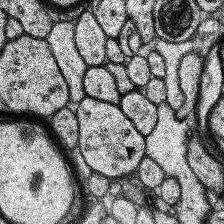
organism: Human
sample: Temporal Lobe